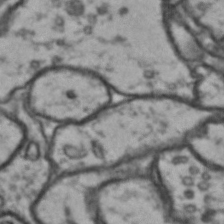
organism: Drosophila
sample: Brain